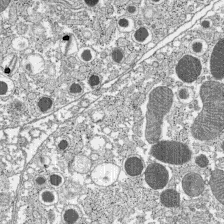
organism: C57BL Mouse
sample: Pancreatic islet